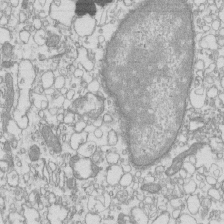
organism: Mouse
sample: Macrophages